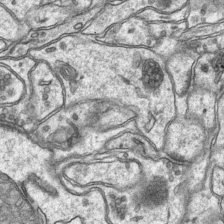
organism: Mouse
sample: CA1 Hippocampus